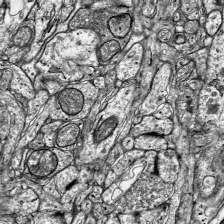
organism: Mouse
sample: Visual Cortex